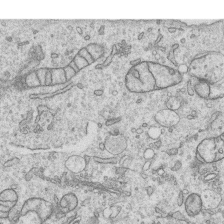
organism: Human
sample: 1205lu cells